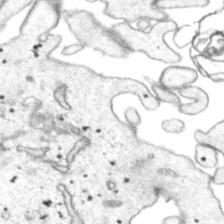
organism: Human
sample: HeLa cells